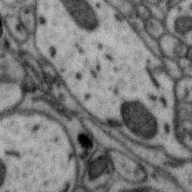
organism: Zebra finch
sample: Brain